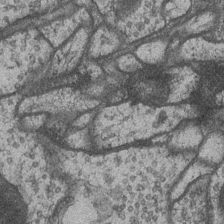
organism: Drosophila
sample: Optic medulla